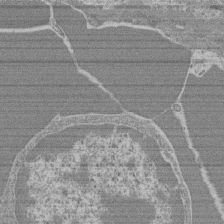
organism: Mouse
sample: Glomerulus